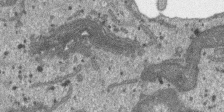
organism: Human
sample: Lung epithelial cells infected with SARS-CoV-2